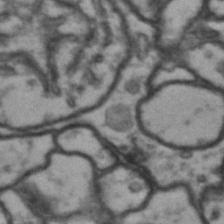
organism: Drosophila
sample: Brain